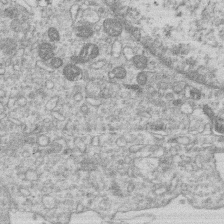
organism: Human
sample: Macrophage cells